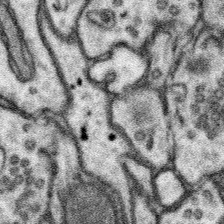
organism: Mouse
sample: Somatosensory cortex neuropil